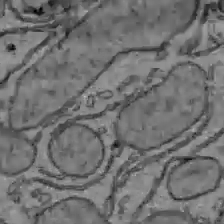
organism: C57BL Mouse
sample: Liver